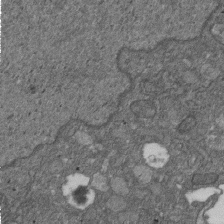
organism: Drosophila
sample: Nephrocyte